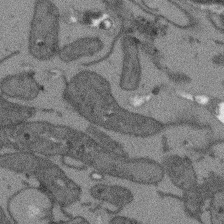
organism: Arabidopsis thaliana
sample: Root tip